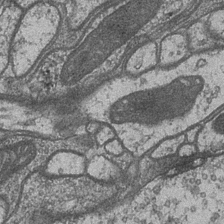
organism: Drosophila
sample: Optic medulla